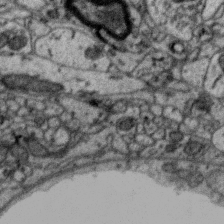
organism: Zebra finch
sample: Brain